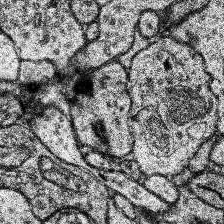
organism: Human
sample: Temporal Lobe